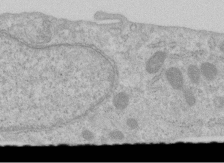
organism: Human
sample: Centriole in RPE cells